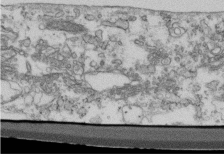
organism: Mouse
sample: Cilia; retinal pigment epithelium